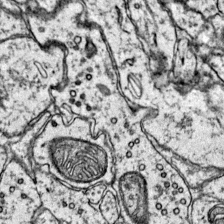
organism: Mouse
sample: Primary visual cortex